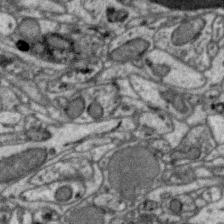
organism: Zebra finch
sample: Brain